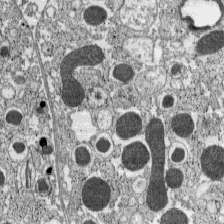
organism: C57BL Mouse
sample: Pancreatic islet